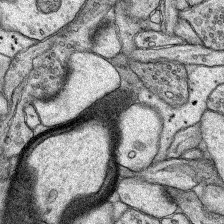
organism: Rat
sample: Hippocampus